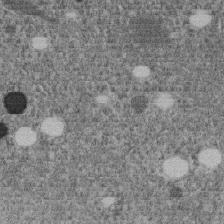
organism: C. elegans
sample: C. elegans embryo early stage